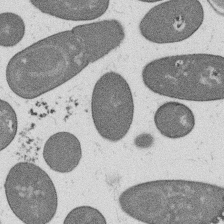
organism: B. subtilis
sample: Bacterial spore